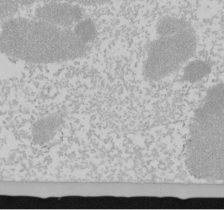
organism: Mouse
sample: Cancer cell death in ED-1 cells